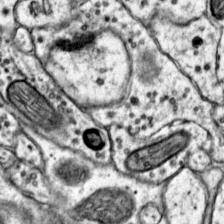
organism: Mouse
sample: Primary visual cortex